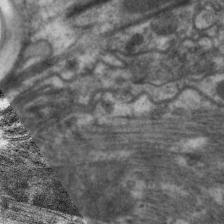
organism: C. elegans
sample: Pharynx